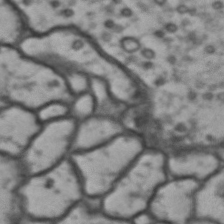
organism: Drosophila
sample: Brain